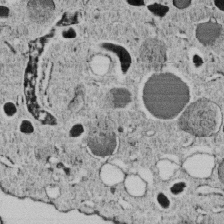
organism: C. elegans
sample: C. elegans embryo early stage